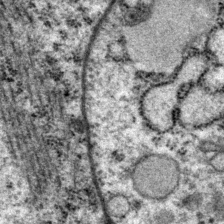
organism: P. pacificus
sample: Pharynx